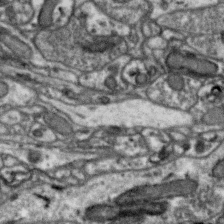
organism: Zebra finch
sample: Brain